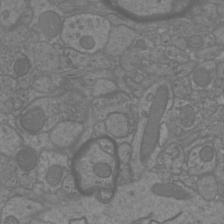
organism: Mouse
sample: Cortical neurons